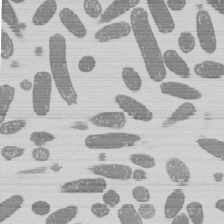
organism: E. coli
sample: Bacterial nucleoid